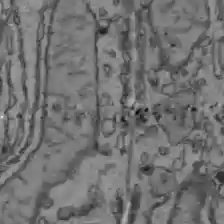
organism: C57BL Mouse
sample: Liver